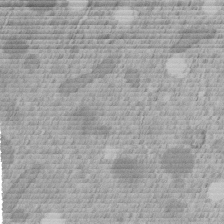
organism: C. elegans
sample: C. elegans embryo early stage